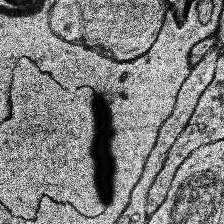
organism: Human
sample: Temporal Lobe